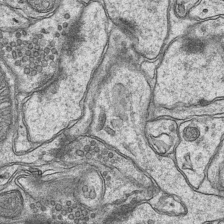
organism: Mouse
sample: CA1 Hippocampus